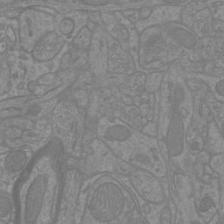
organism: Mouse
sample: Cortical neurons